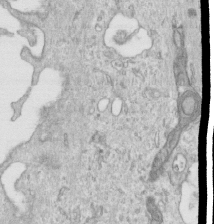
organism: Human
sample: Centriole in RPE cells